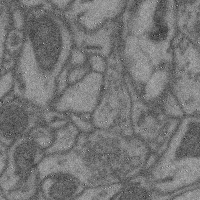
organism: Mouse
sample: Cerebral cortex